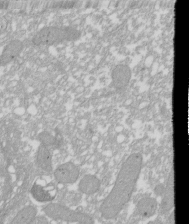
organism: Xenopus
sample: Cilia; centrioles in frog embryo cells